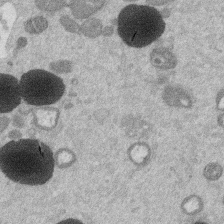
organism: Mouse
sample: Dividing mouse embryo 1 cell stage